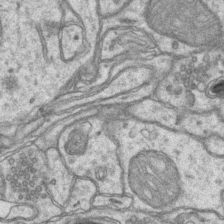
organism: Mouse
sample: CA1 Hippocampus